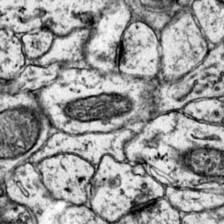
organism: Mouse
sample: Primary visual cortex